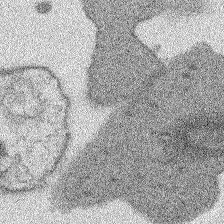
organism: Human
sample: HeLa cells